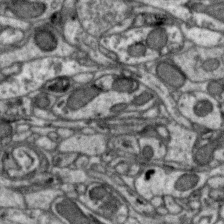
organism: Zebra finch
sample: Brain